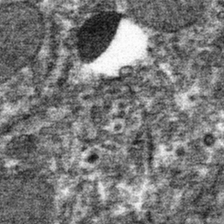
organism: Mouse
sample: Mouse hepatocytes